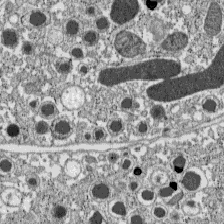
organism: C57BL Mouse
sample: Pancreatic islet